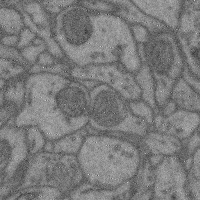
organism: Mouse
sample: Cerebral cortex